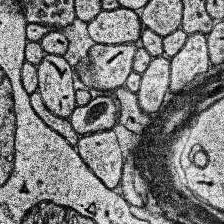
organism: Human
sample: Temporal Lobe